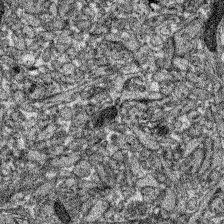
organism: Zebrafish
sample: Larval olfactory bulb